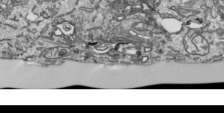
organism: Human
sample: Mitochondria in HCT116 cells